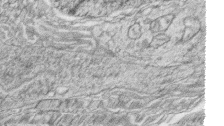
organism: Zebrafish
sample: synaptic ribbons in rod cells and cone cells